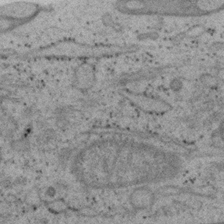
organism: Human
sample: HeLa cells